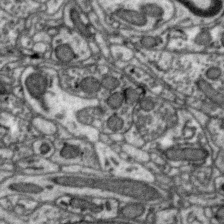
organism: Zebra finch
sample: Brain